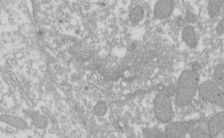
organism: Xenopus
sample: Cilia; centrioles in frog embryo cells